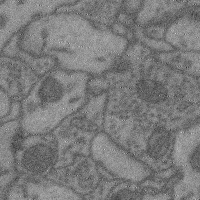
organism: Mouse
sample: Cerebral cortex